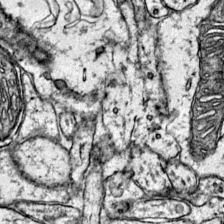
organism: Mouse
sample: Primary visual cortex